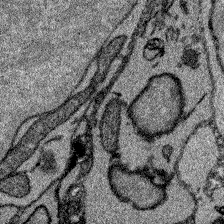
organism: Zebrafish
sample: Larval olfactory bulb